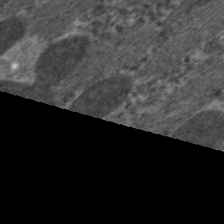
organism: C. elegans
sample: Pharynx